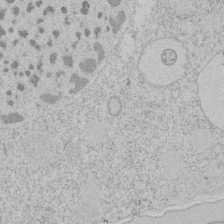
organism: Tetrahymena